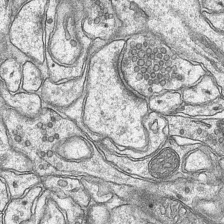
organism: Mouse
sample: CA1 Hippocampus